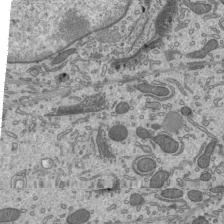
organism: Mouse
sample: Mouse epididymis efferent ductule cilia